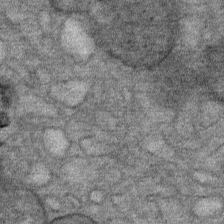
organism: Mouse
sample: Mouse Salivary gland